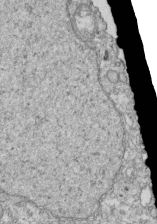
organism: Human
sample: HeLa cell HIV synapse